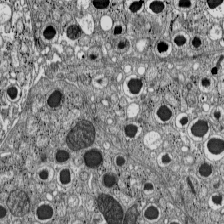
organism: C57BL Mouse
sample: Pancreatic islet